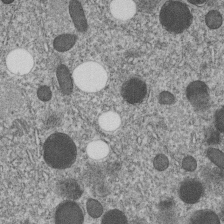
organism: C. elegans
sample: C. elegans embryo early stage